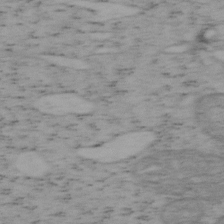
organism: Mouse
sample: OT-I killer T cells with ID8 ovarian cancer cells